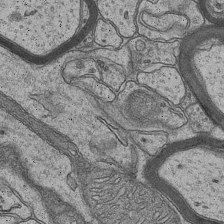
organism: Mouse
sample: CA1 Hippocampus